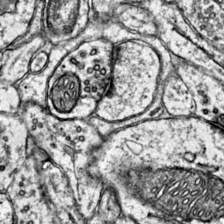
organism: Mouse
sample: Primary visual cortex